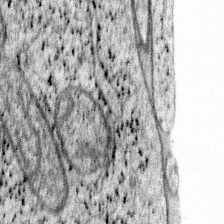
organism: Human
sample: HeLa cells